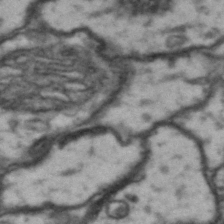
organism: Drosophila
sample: Brain